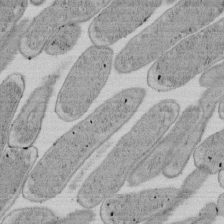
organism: E. coli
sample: Bacterial nucleoid